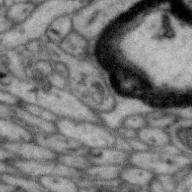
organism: Zebra finch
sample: Brain